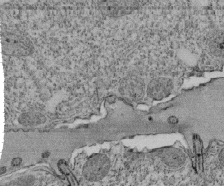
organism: Tetrahymena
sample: Cilia in tetrahymena